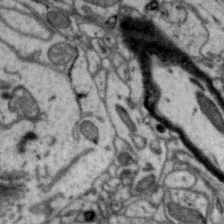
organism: Zebra finch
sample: Brain